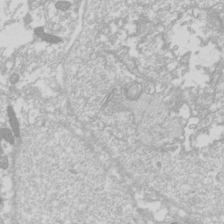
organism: Drosophila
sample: Cell division; meiosis; drosophila spermatocytes